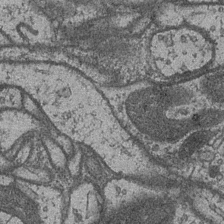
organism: Drosophila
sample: Optic medulla